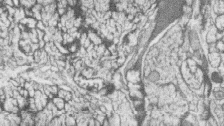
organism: Zebrafish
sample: synaptic ribbons in rod cells and cone cells